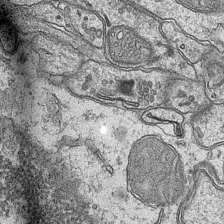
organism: Mouse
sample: CA1 Hippocampus